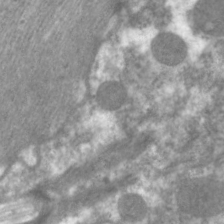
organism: C. elegans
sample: Pharynx